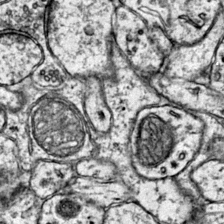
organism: Mouse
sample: Primary visual cortex